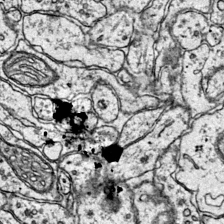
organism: Mouse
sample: Primary visual cortex